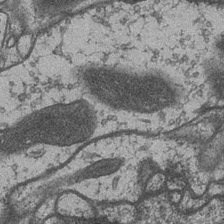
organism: Drosophila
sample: Optic medulla